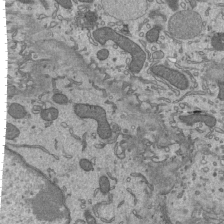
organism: Mouse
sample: Mouse epididymis efferent ductule cilia